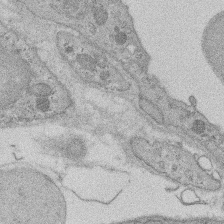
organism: Rat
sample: Salivary granule